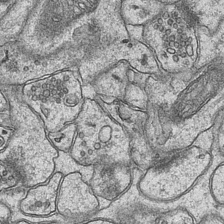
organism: Mouse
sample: CA1 Hippocampus